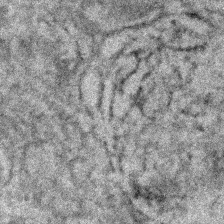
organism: Human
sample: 1205lu cells